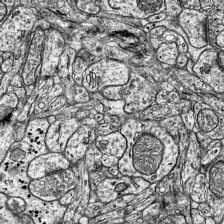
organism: Mouse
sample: Visual Cortex